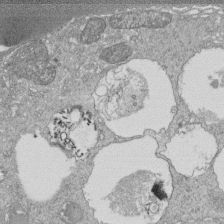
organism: Tetrahymena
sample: Cilia in tetrahymena